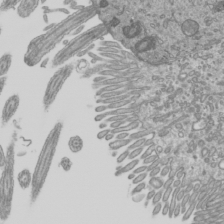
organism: Mouse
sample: Cilia; mouse epididymis